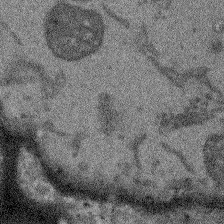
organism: Arabidopsis thaliana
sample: Root tip